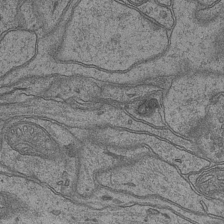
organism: Mouse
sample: CA1 Hippocampus